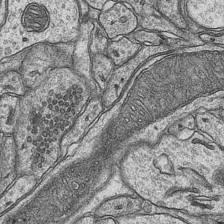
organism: Mouse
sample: CA1 Hippocampus